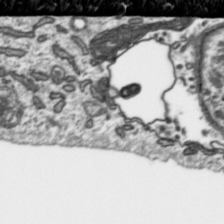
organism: Toxoplasma gondii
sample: Parasites in a vacuole inside a host cell